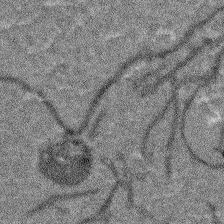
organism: Arabidopsis thaliana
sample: Root tip